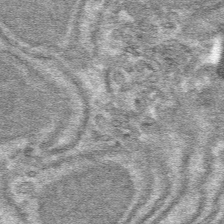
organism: Mouse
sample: Mouse hepatocytes